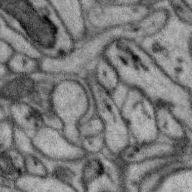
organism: Zebra finch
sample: Brain